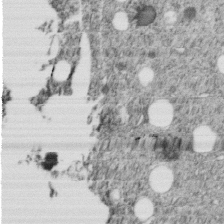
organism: C. elegans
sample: C. elegans embryo early stage